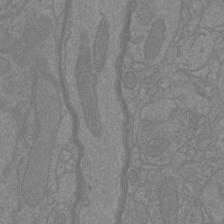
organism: Mouse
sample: Cortical neurons